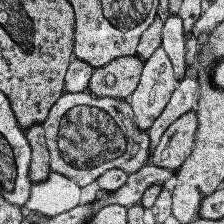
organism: Human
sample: Temporal Lobe